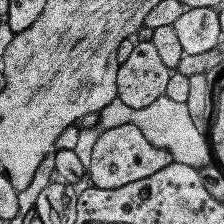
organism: Human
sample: Temporal Lobe